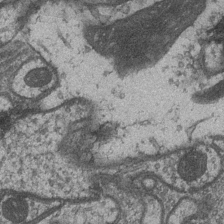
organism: Drosophila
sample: Optic medulla